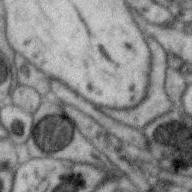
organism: Zebra finch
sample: Brain